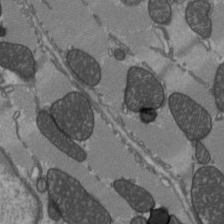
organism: C57BL Mouse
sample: Heart